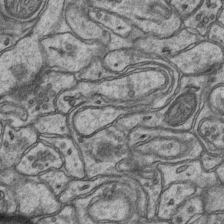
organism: Mouse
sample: CA1 Hippocampus